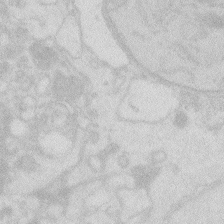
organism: Zebrafish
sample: Macrophage